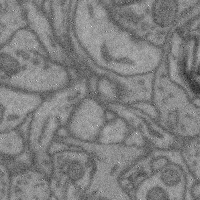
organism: Mouse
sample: Cerebral cortex